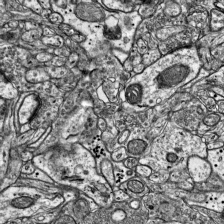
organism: Mouse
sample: Visual Cortex